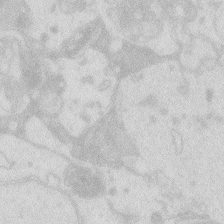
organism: Zebrafish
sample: Macrophage